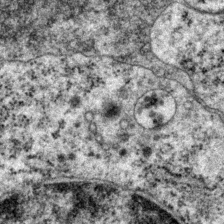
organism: P. pacificus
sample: Pharynx